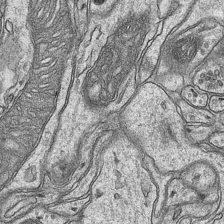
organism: Mouse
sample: CA1 Hippocampus